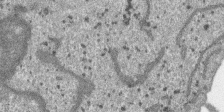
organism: Human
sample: Lung epithelial cells infected with SARS-CoV-2